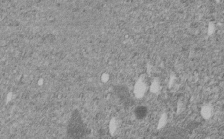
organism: C. elegans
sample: C. elegans embryo early stage